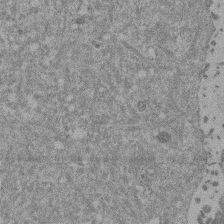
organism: Mouse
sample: Dividing mouse embryo 1 cell stage